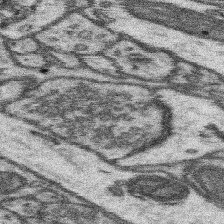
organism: Mouse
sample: Somatosensory cortex neuropil